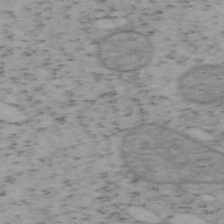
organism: Mouse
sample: OT-I killer T cells with ID8 ovarian cancer cells